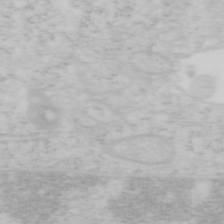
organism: Mouse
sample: OT-I killer T cells with ID8 ovarian cancer cells